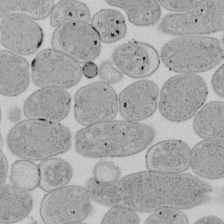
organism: E. coli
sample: Bacterial nucleoid